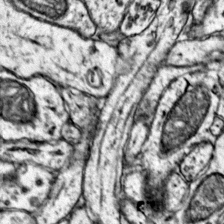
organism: Mouse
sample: Primary visual cortex